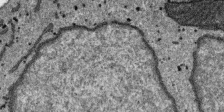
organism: Human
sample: Lung epithelial cells, uninfected (mock) control